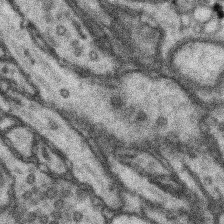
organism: Mouse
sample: Somatosensory cortex neuropil